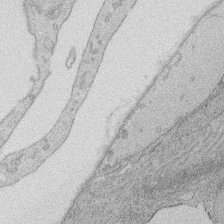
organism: Rat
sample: Salivary granule